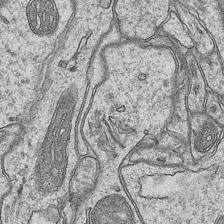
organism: Mouse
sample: CA1 Hippocampus